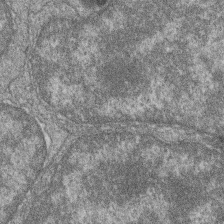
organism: Zebrafish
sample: Cilia; retinal pigment epithelium